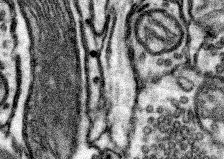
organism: Mouse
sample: Somatosensory cortex neuropil